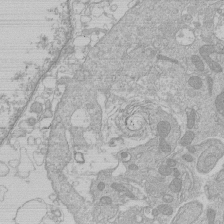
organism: Human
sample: Macrophage cells